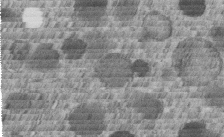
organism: C. elegans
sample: C. elegans embryo early stage